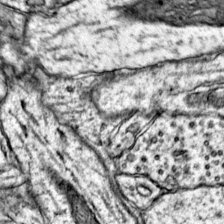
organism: Mouse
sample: Primary visual cortex